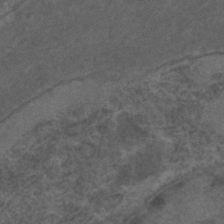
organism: C. elegans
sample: C. elegans embryo